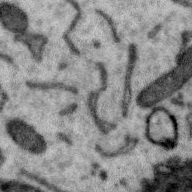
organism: Zebra finch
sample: Brain